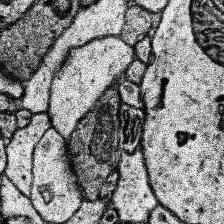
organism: Human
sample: Temporal Lobe